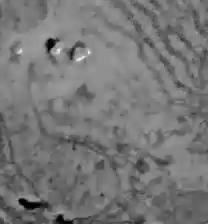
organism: C57BL Mouse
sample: Liver